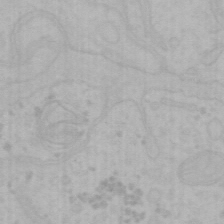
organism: Mouse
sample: Choroid plexus